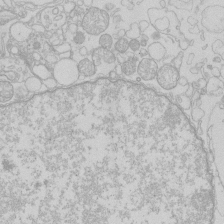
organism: Human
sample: Macrophage cells